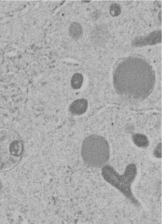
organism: C. elegans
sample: C. elegans embryo early stage